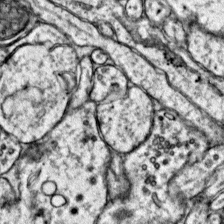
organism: Mouse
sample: Primary visual cortex